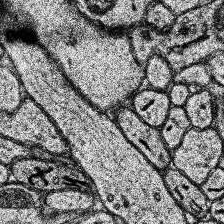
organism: Human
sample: Temporal Lobe